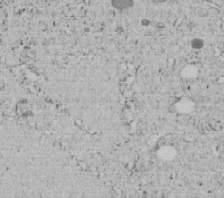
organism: C. elegans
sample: C. elegans embryo early stage